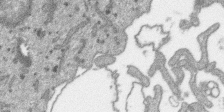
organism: Human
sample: Lung epithelial cells infected with SARS-CoV-2